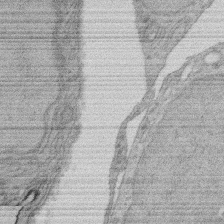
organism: Rat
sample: Salivary granule